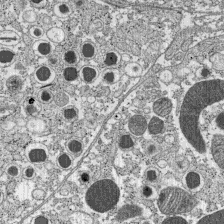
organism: C57BL Mouse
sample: Pancreatic islet